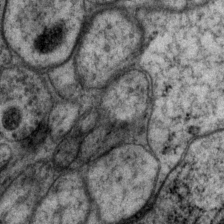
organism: P. pacificus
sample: Pharynx